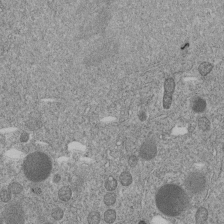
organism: C. elegans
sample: C. elegans embryo early stage